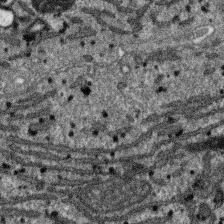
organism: Human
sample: Lung epithelial cells infected with SARS-CoV-2